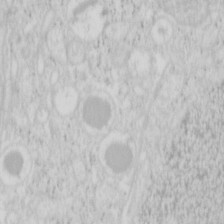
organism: Mouse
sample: Pancreas